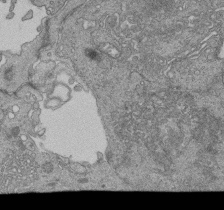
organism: Human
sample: Retinal organoid Rod and Cone cells